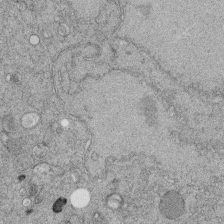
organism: C. elegans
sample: C. elegans embryo early stage